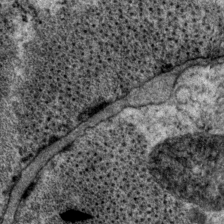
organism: P. pacificus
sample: Pharynx